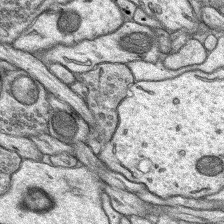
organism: Rat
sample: Hippocampus